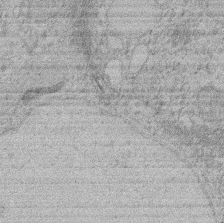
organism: Rat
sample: Salivary granule